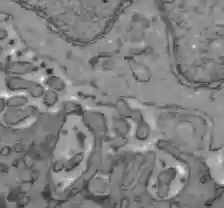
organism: C57BL Mouse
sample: Liver